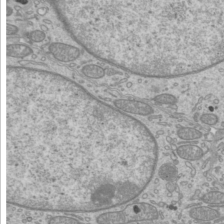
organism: Mouse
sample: Cilia; mouse epididymis